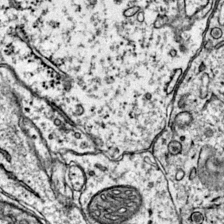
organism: Mouse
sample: Primary visual cortex